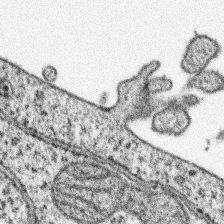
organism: Human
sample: HeLa cells